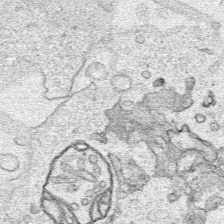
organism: Human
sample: Mitochondria in HCT116 cells